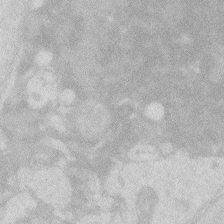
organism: Zebrafish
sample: Macrophage